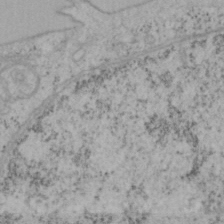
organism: Human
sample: HeLa cells